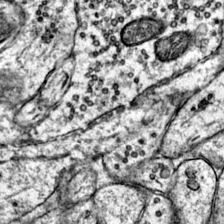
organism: Mouse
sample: Primary visual cortex